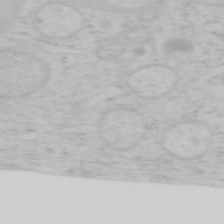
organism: Mouse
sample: OT-I killer T cells with ID8 ovarian cancer cells